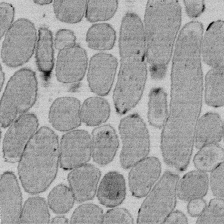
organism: E. coli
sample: Bacterial nucleoid